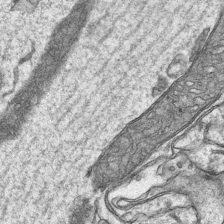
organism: Mouse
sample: CA1 Hippocampus